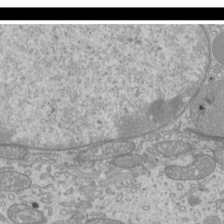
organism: Mouse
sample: Cilia; mouse epididymis